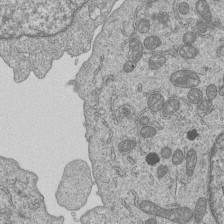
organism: Human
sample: MDA-MB-231 cells